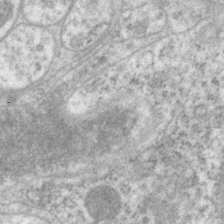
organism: P. pacificus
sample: Pharynx